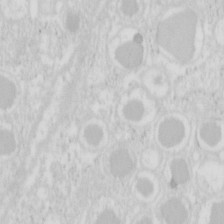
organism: Mouse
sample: Pancreas